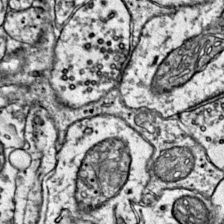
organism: Mouse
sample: Primary visual cortex